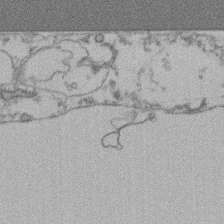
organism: Mouse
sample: T cell stromal cell synapse